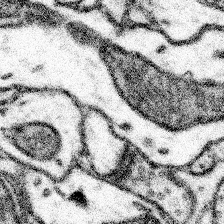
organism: Mouse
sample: Somatosensory cortex neuropil